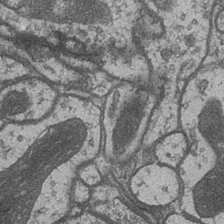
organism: Drosophila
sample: Optic medulla